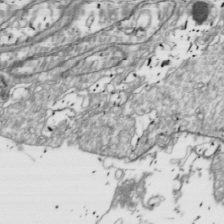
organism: Drosophila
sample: Cell division; meiosis; drosophila spermatocytes